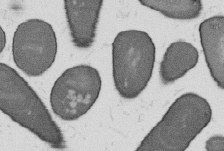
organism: B. subtilis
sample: Bacterial spore